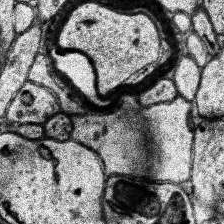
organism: Human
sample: Temporal Lobe